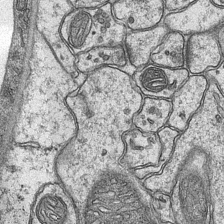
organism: Mouse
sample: CA1 Hippocampus